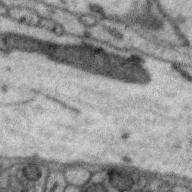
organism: Zebra finch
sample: Brain